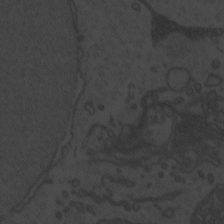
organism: Zebrafish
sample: Macrophage infected with Toxoplasma gondii